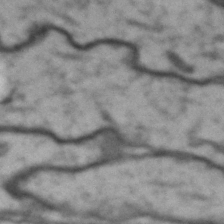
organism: Drosophila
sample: Brain